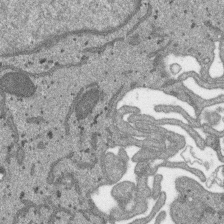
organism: Human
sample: Lung epithelial cells infected with SARS-CoV-2